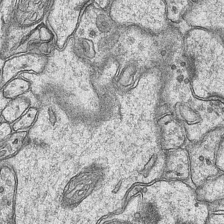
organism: Mouse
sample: CA1 Hippocampus